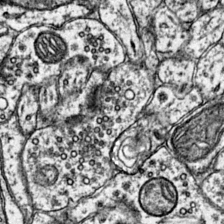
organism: Mouse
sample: Primary visual cortex